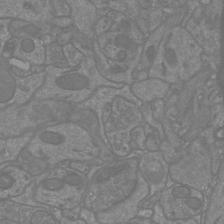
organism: Mouse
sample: Cortical neurons